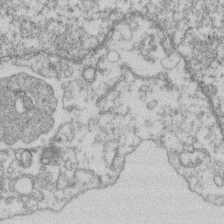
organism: Mouse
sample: T cell stromal cell synapse